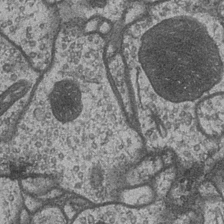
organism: Drosophila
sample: Optic medulla